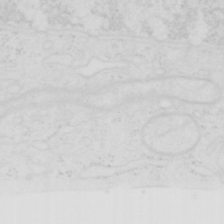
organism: Human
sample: SUM-159 cell